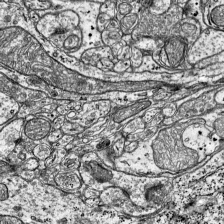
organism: Mouse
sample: Visual Cortex